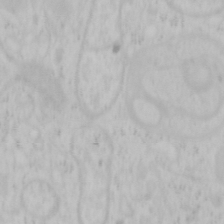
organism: Mouse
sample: OT-I killer T cells with ID8 ovarian cancer cells